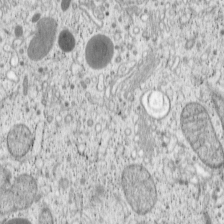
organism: African green monkey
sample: COS-7 cells